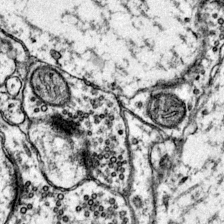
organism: Mouse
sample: Primary visual cortex